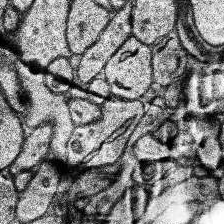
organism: Human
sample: Temporal Lobe